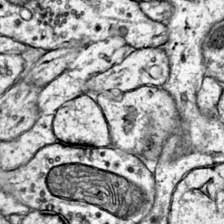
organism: Mouse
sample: Primary visual cortex